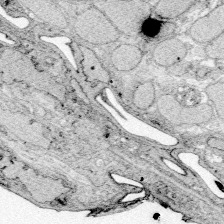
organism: Zebrafish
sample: Whole-Brain